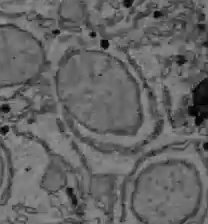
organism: C57BL Mouse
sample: Liver